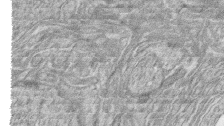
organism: Zebrafish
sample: synaptic ribbons in rod cells and cone cells